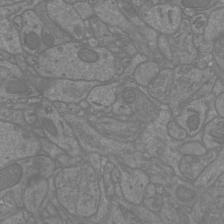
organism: Mouse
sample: Cortical neurons